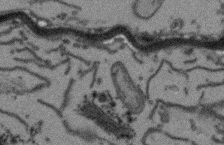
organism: Arabidopsis thaliana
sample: Root tip